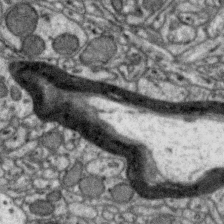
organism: Zebra finch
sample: Brain